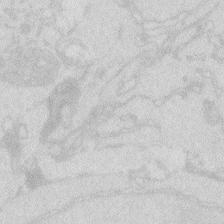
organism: Zebrafish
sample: Macrophage